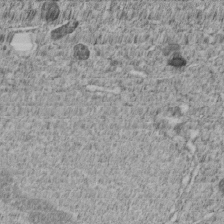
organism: C. elegans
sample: C. elegans embryo early stage